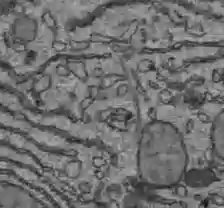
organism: C57BL Mouse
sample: Liver